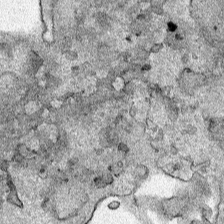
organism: Human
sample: Mitochondria in HCT116 cells